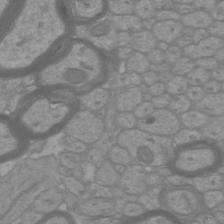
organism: Mouse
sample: Cortical neurons